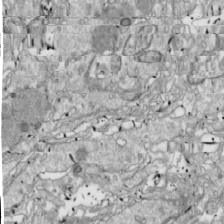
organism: Drosophila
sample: Cell division; meiosis; drosophila spermatocytes